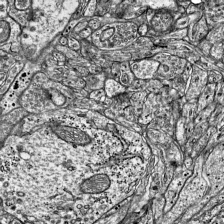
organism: Mouse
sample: Visual Cortex